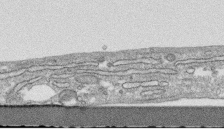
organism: Human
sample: CRL-1474